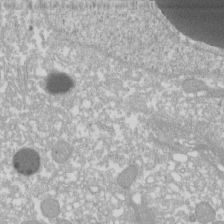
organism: Xenopus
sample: Cilia; centrioles in frog embryo cells